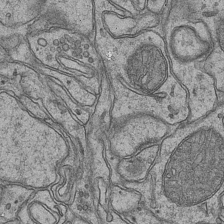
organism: Mouse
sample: CA1 Hippocampus